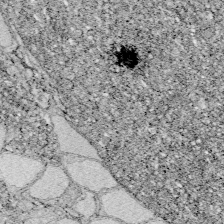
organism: Zebrafish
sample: Whole-Brain